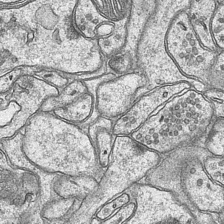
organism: Mouse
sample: CA1 Hippocampus